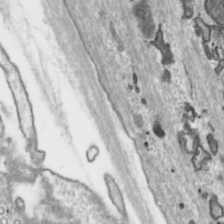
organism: Toxoplasma gondii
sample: Parasites in a vacuole inside a host cell